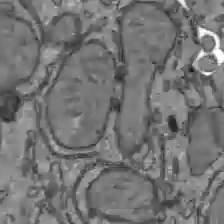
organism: C57BL Mouse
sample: Liver